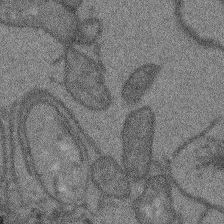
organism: Arabidopsis thaliana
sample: Root tip